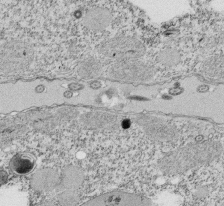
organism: Tetrahymena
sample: Cilia in tetrahymena